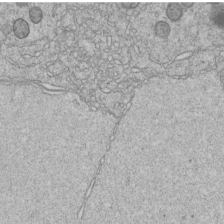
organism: C. elegans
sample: C. elegans embryo early stage